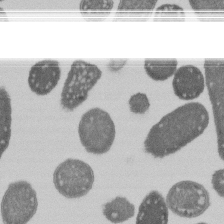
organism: E. coli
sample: Bacterial nucleoid